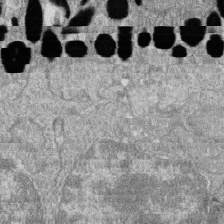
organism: Zebrafish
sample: Cilia; retinal pigment epithelium